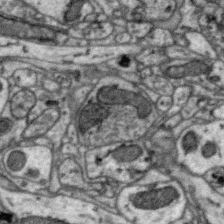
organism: Zebra finch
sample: Brain